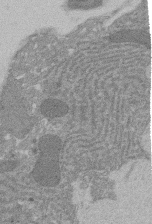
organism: Rat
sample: Salivary granule